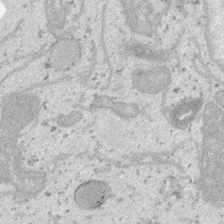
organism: Human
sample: Lung epithelial cells infected with SARS-CoV-2